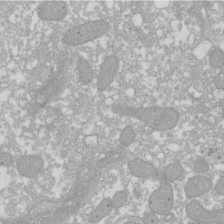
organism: Xenopus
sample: Cilia; centrioles in frog embryo cells